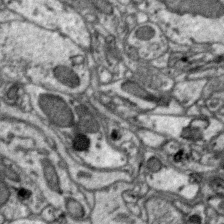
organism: Zebra finch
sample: Brain